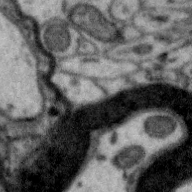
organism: Zebra finch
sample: Brain